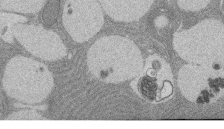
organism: Rat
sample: Salivary granule